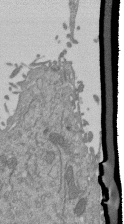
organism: Mouse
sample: ED-1 cell nuclei; centrioles